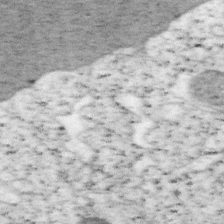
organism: Mouse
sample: OT-I killer T cells with ID8 ovarian cancer cells